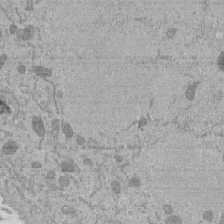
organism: Mouse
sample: ED-1 cell nuclei; centrioles